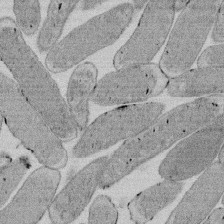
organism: E. coli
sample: Bacterial nucleoid